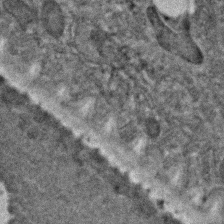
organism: C. elegans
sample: C. elegans embryo